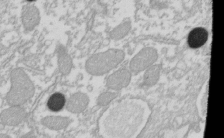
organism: Xenopus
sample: Cilia; centrioles in frog embryo cells